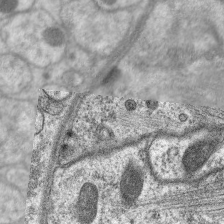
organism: C. elegans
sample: Pharynx